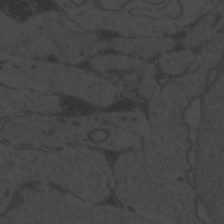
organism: Zebrafish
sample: Macrophage infected with Toxoplasma gondii